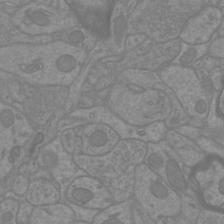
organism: Mouse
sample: Cortical neurons